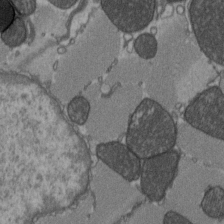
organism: C57BL Mouse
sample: Heart